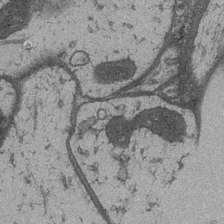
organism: Drosophila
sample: Optic medulla